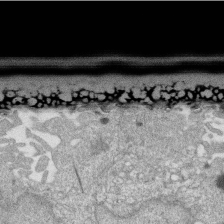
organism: Human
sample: HeLa cell HIV synapse